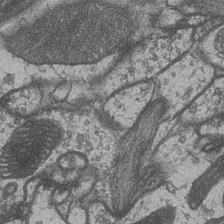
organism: Drosophila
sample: Optic medulla